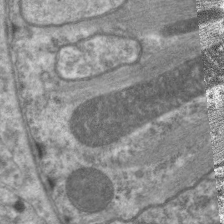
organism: C. elegans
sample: Pharynx